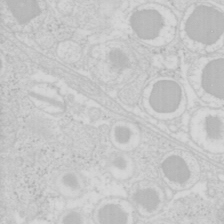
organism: Mouse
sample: Pancreas